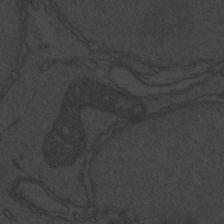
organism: Zebrafish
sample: Macrophage infected with Toxoplasma gondii